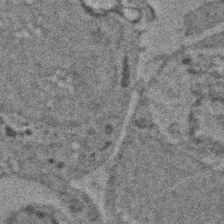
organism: Zebrafish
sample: Zebrafish embryo